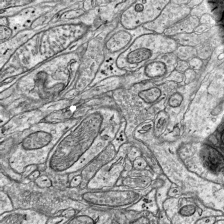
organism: Mouse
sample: Visual Cortex